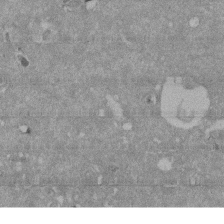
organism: Mouse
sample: ED-1 cell nuclei; centrioles